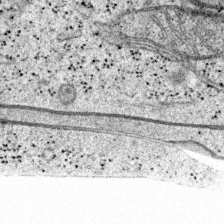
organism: Human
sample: HeLa cells